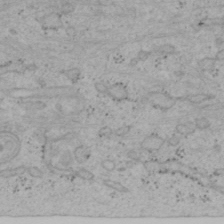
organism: Human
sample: HeLa cells